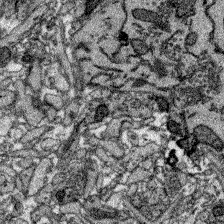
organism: Zebrafish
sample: Larval olfactory bulb